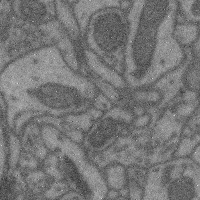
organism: Mouse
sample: Cerebral cortex